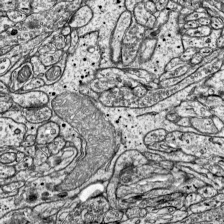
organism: Mouse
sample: Visual Cortex